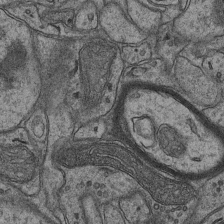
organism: Mouse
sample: CA1 Hippocampus